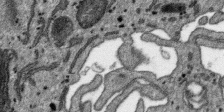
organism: Human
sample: Lung epithelial cells, uninfected (mock) control